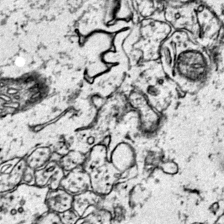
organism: Mouse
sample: Primary visual cortex